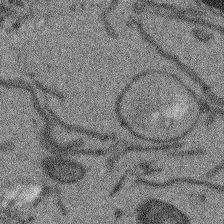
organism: Arabidopsis thaliana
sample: Root tip